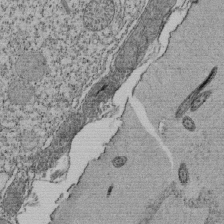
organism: Tetrahymena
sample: Cilia in tetrahymena